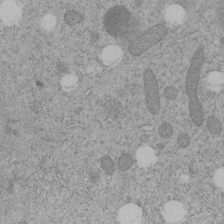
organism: C. elegans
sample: C. elegans embryo early stage